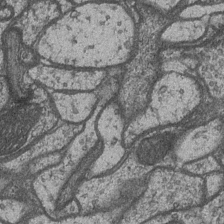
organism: Drosophila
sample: Optic medulla